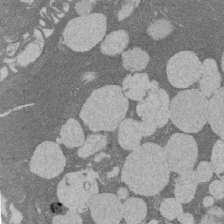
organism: Rat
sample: Salivary granule